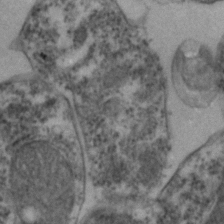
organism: Zebrafish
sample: Zebrafish embryo